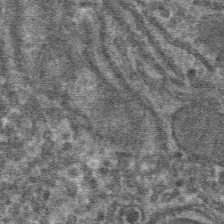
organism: Mouse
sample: Mouse hepatocytes